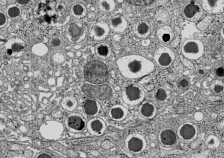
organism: C57BL Mouse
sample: Pancreatic islet